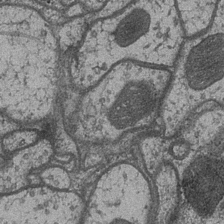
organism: Drosophila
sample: Optic medulla